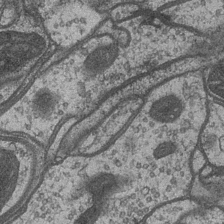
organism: Drosophila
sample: Optic medulla